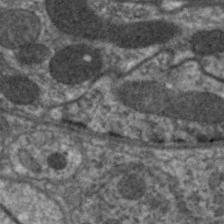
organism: C. elegans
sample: Pharynx